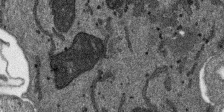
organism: Human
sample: Lung epithelial cells infected with SARS-CoV-2